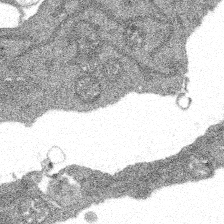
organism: Spongilla lacustris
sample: Multiple